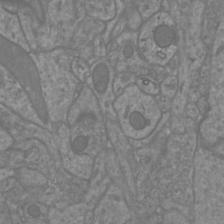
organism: Mouse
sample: Cortical neurons